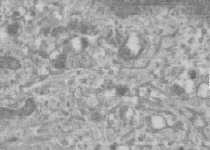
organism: Human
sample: Centriole in RPE cells